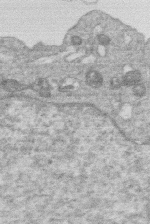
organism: Human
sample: Macrophage cells